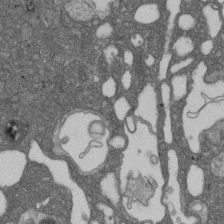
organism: Drosophila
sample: Nephrocyte